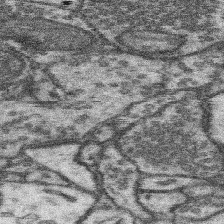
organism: Mouse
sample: Somatosensory cortex neuropil